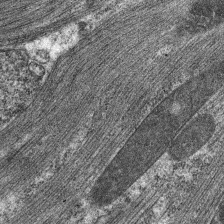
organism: C. elegans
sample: Pharynx